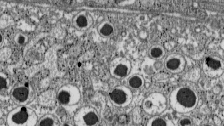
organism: C57BL Mouse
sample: Pancreatic islet